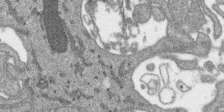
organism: Human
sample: Lung epithelial cells infected with SARS-CoV-2